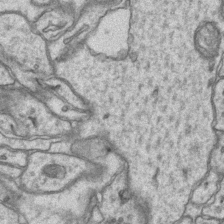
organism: Mouse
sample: CA1 Hippocampus